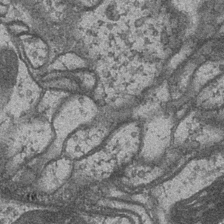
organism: Drosophila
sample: Optic medulla